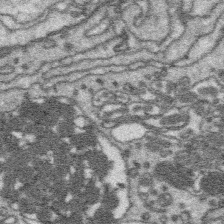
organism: Platynereis dumerilii